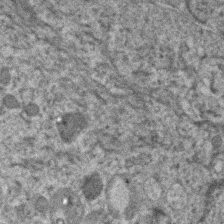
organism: Human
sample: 1205lu cells